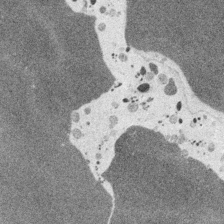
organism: Embia sp.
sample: Silk gland